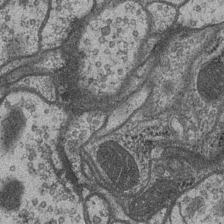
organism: Drosophila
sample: Optic medulla